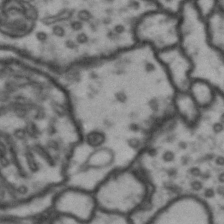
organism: Drosophila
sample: Brain